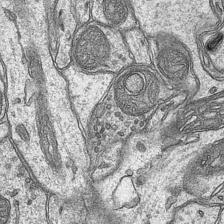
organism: Mouse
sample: CA1 Hippocampus